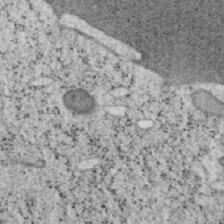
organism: Mouse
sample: OT-I killer T cells with ID8 ovarian cancer cells